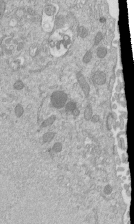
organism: Mouse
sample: ED-1 cell nuclei; centrioles